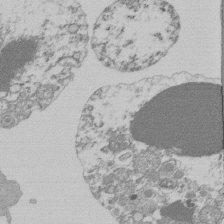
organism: Mouse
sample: Activated Pmel transgenic CD8+ T Cells